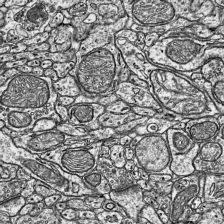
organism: Mouse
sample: Visual Cortex